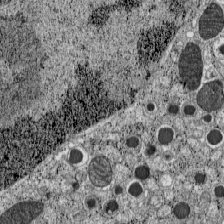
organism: C57BL Mouse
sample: Pancreatic islet